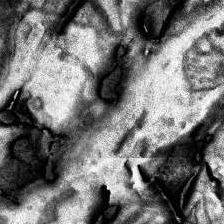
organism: Human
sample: Temporal Lobe